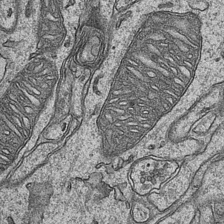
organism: Mouse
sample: CA1 Hippocampus